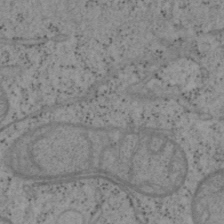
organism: Human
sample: HeLa cells